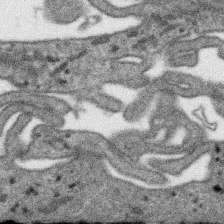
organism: Human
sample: Lung epithelial cells infected with SARS-CoV-2